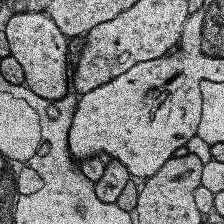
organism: Human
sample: Temporal Lobe